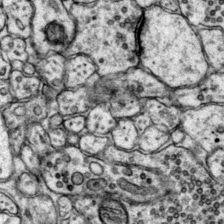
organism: Mouse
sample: Primary visual cortex